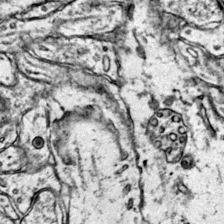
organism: Mouse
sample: Primary visual cortex